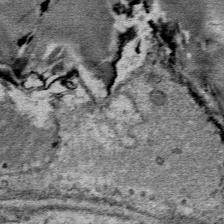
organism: Mouse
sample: Mouse Salivary gland